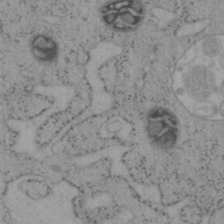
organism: Mouse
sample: OT-I killer T cells with ID8 ovarian cancer cells